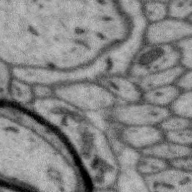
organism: Zebra finch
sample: Brain